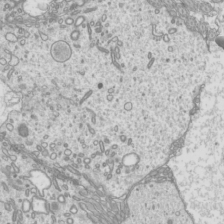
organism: Mouse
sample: Cilia; mouse epididymis